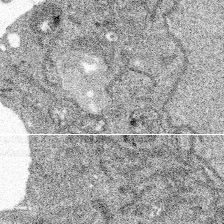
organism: Spongilla lacustris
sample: Multiple